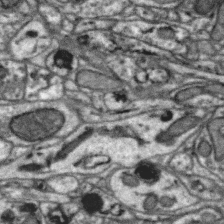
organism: Zebra finch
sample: Brain